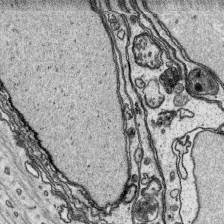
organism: Platynereis dumerilii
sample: Parapodia